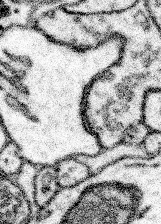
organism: Mouse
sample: Somatosensory cortex neuropil